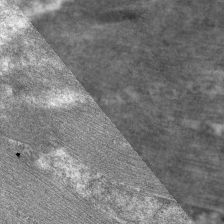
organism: C. elegans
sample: Pharynx